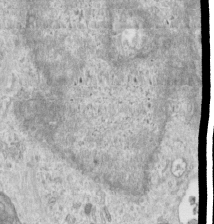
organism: Human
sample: Centriole in RPE cells